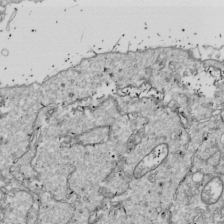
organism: Drosophila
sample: Cell division; meiosis; drosophila spermatocytes